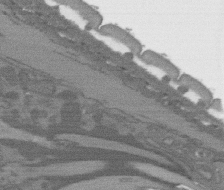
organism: C. elegans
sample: AFD neurons C. elegans